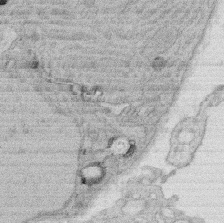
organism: Rat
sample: Salivary granule